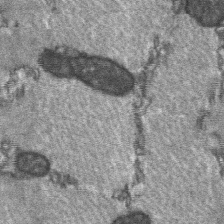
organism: C57BL Mouse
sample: Soleus